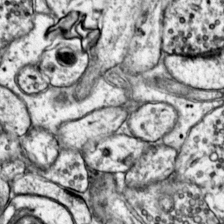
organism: Mouse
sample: Primary visual cortex